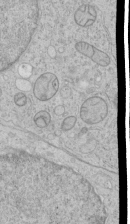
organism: Human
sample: Mitochondria in HCT116 cells